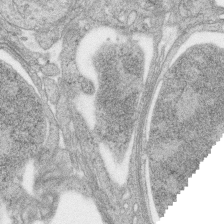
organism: Zebrafish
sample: synaptic ribbons in rod cells and cone cells